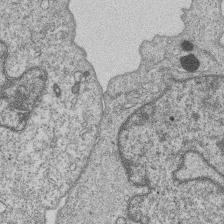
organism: Human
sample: MDA-MB-231 cells